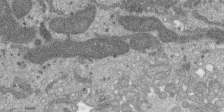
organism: Human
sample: Lung epithelial cells infected with SARS-CoV-2